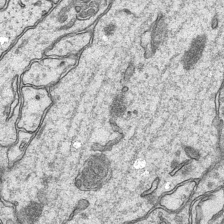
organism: Mouse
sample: CA1 Hippocampus